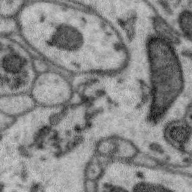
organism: Zebra finch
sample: Brain